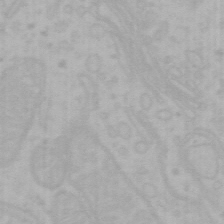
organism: Mouse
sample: Choroid plexus